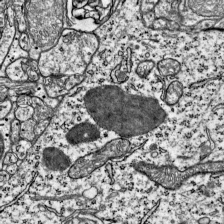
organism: Mouse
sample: Visual Cortex